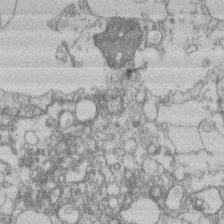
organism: Mouse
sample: T cell stromal cell synapse